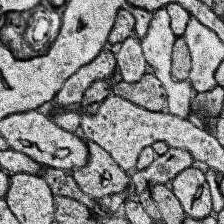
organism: Human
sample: Temporal Lobe